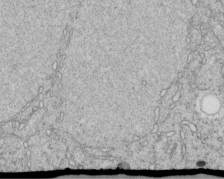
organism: C. elegans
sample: C. elegans embryo early stage